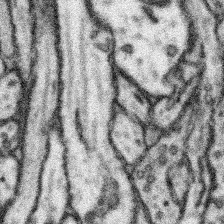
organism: Mouse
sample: Somatosensory cortex neuropil